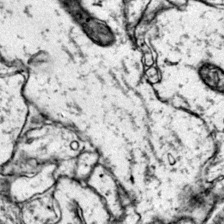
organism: Mouse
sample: Primary visual cortex